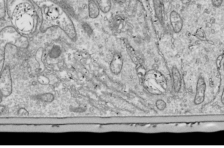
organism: Drosophila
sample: Cell division; meiosis; drosophila spermatocytes